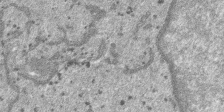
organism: Human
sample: Lung epithelial cells infected with SARS-CoV-2